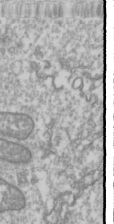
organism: Drosophila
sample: Cell division; meiosis; drosophila spermatocytes